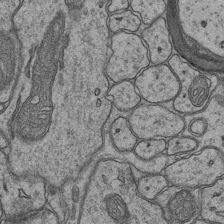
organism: Mouse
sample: CA1 Hippocampus